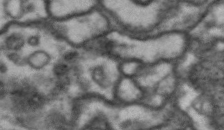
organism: Drosophila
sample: Brain